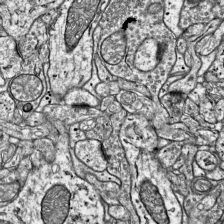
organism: Mouse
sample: Visual Cortex